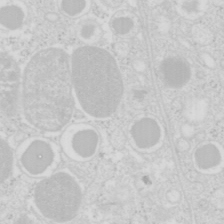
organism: Mouse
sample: Pancreas